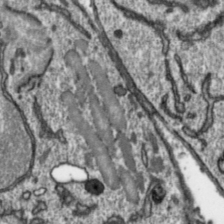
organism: Toxoplasma gondii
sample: Parasites in a vacuole inside a host cell